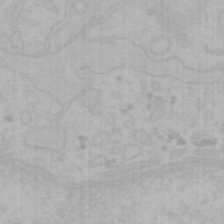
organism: Mouse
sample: Choroid plexus